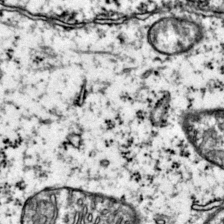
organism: Mouse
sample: Primary visual cortex